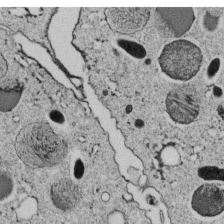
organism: C. elegans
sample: C. elegans embryo early stage